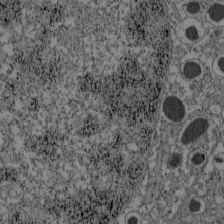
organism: C57BL Mouse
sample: Pancreatic islet